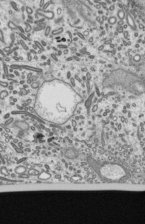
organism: Mouse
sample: Mouse epididymis efferent ductule cilia